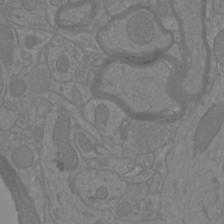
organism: Mouse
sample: Cortical neurons